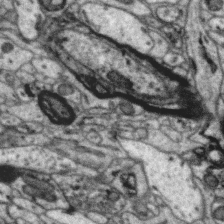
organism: Zebra finch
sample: Brain